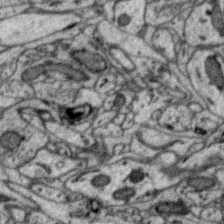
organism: Zebra finch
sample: Brain